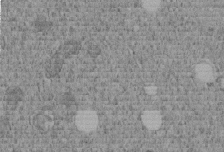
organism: C. elegans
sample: C. elegans embryo early stage